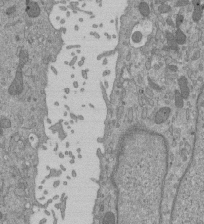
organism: Mouse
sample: ED-1 cell nuclei; centrioles